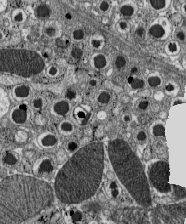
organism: C57BL Mouse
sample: Pancreatic islet